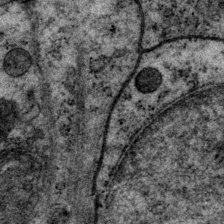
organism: P. pacificus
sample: Pharynx